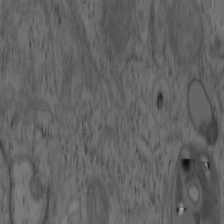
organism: Human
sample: HeLa cells